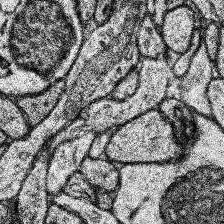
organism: Human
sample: Temporal Lobe